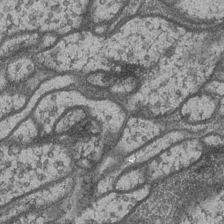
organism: Drosophila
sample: Optic medulla